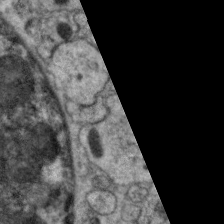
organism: C. elegans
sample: Pharynx